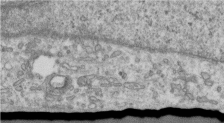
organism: Human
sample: Centriole in RPE cells